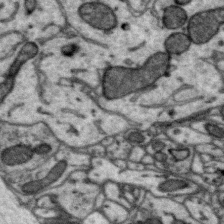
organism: Zebra finch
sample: Brain